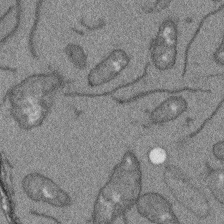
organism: Arabidopsis thaliana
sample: Root tip